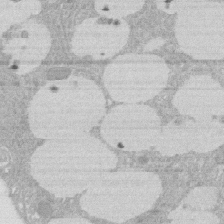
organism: Rat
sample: Salivary granule